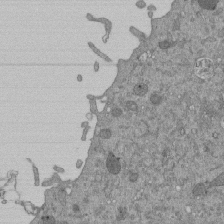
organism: Mouse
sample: ED-1 cell nuclei; centrioles